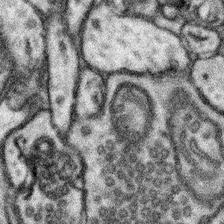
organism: Mouse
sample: Somatosensory cortex neuropil